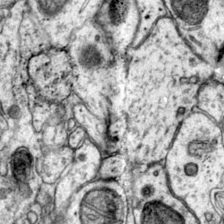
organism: Mouse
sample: Primary visual cortex